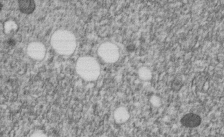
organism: C. elegans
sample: C. elegans embryo early stage